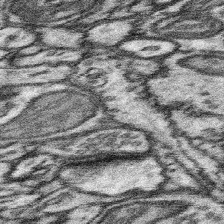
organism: Mouse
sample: Somatosensory cortex neuropil